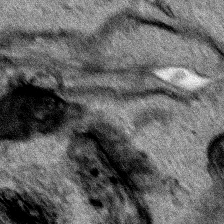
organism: Human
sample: Mitochondria in HCT116 cells